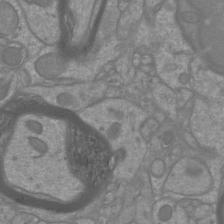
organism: Mouse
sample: Cortical neurons